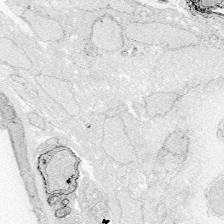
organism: Zebrafish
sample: Whole-Brain